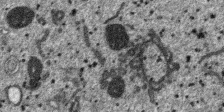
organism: Human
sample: Lung epithelial cells infected with SARS-CoV-2